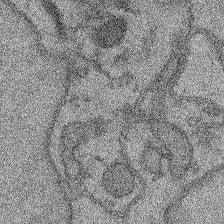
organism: Human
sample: HeLa cells